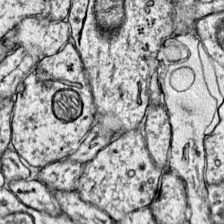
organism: Mouse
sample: Primary visual cortex